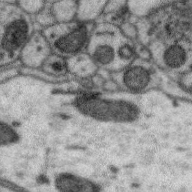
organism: Zebra finch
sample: Brain